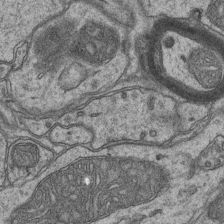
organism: Mouse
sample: CA1 Hippocampus